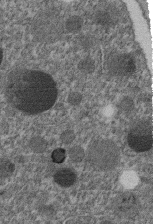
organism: C. elegans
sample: C. elegans embryo early stage